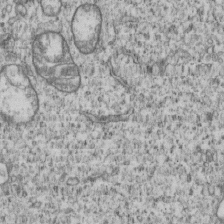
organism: Human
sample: MDA-MB-231 cells